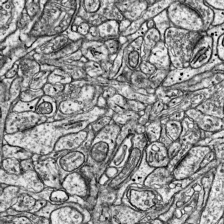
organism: Mouse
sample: Visual Cortex